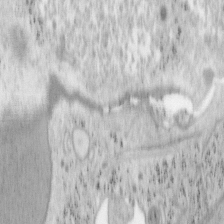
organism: Human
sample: HeLa cells